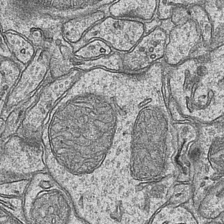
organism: Mouse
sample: CA1 Hippocampus